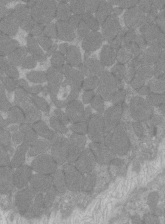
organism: C57BL Mouse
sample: Tibialis anterior muscle cell